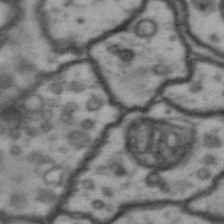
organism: Drosophila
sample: Brain